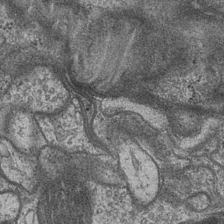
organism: Drosophila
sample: Optic medulla